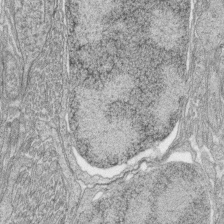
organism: Zebrafish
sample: synaptic ribbons in rod cells and cone cells